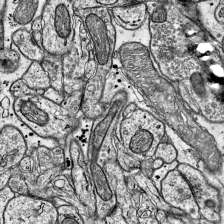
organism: Mouse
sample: Visual Cortex